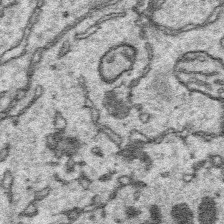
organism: Platynereis dumerilii